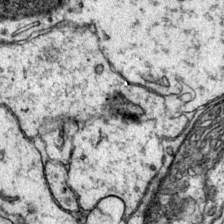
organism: Mouse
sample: Primary visual cortex